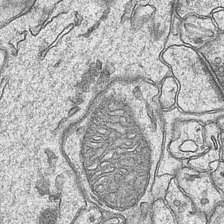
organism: Mouse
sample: CA1 Hippocampus